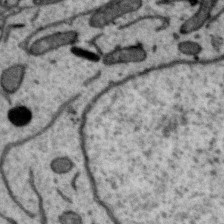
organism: Zebra finch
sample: Brain